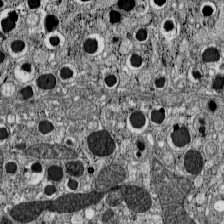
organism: C57BL Mouse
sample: Pancreatic islet